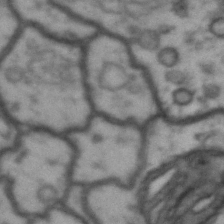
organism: Drosophila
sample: Brain